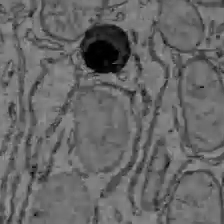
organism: C57BL Mouse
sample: Liver